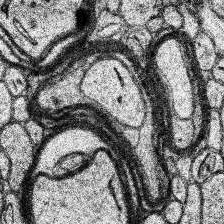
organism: Human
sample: Temporal Lobe